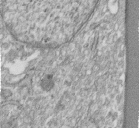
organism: Human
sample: Centriole in fibroblast cells